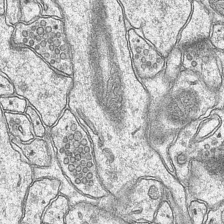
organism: Mouse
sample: CA1 Hippocampus